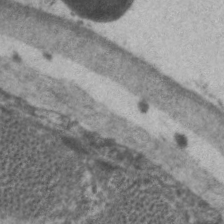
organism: C. elegans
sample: Pharynx